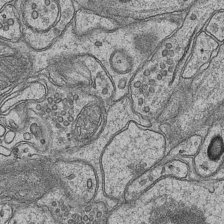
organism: Mouse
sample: CA1 Hippocampus